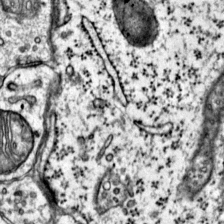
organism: Mouse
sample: Primary visual cortex